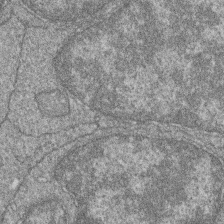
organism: Zebrafish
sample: Cilia; retinal pigment epithelium